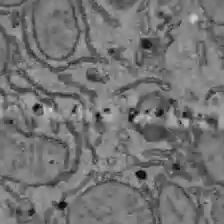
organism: C57BL Mouse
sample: Liver